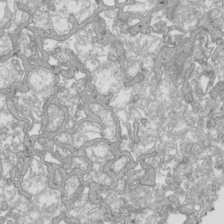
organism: Human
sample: Mitochondria in HCT116 cells